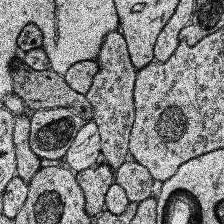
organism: Human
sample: Temporal Lobe